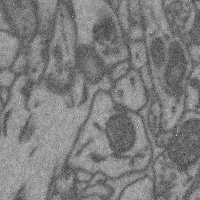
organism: Mouse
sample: Cerebral cortex